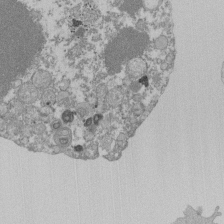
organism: Mouse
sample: Activated Pmel transgenic CD8+ T Cells